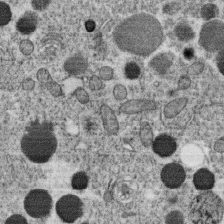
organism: C. elegans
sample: C. elegans oocyte; sperm cells